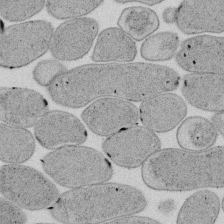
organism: E. coli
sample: Bacterial nucleoid